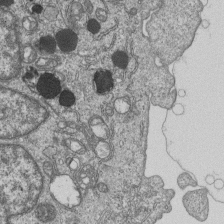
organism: Human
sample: MDA-MB-231 cells